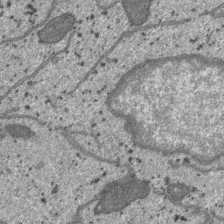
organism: Human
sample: Lung epithelial cells infected with SARS-CoV-2